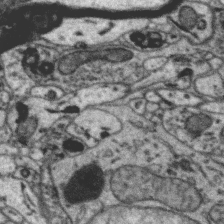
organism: Zebra finch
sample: Brain